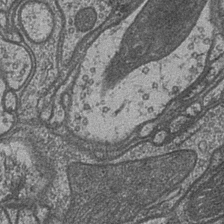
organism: Drosophila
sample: Optic medulla